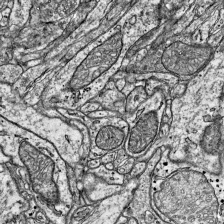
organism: Mouse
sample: Visual Cortex